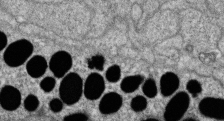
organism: Zebrafish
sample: Cilia; retinal pigment epithelium